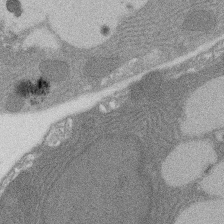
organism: Rat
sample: Salivary granule